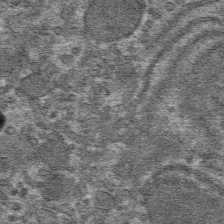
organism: Mouse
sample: Mouse hepatocytes